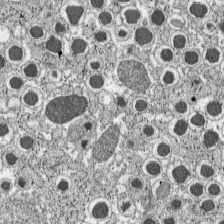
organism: C57BL Mouse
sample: Pancreatic islet